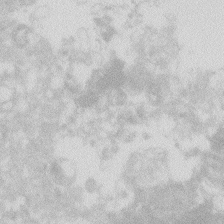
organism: Zebrafish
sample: Macrophage